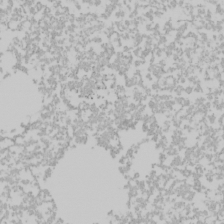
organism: Mouse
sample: Cancer cell death in ED-1 cells